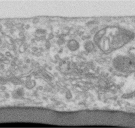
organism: Human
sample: Centriole in RPE cells